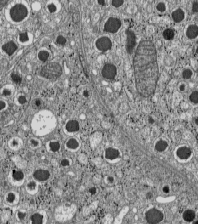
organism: C57BL Mouse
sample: Pancreatic islet